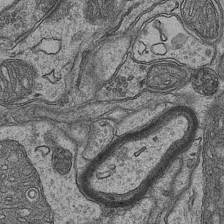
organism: Mouse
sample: CA1 Hippocampus